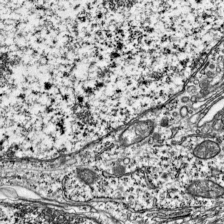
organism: Mouse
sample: Visual Cortex